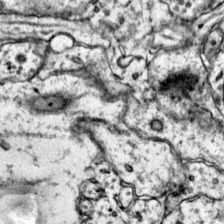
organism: Mouse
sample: Primary visual cortex